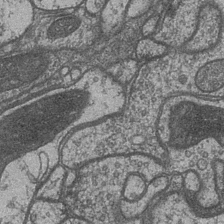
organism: Drosophila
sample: Optic medulla